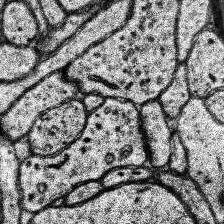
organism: Human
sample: Temporal Lobe